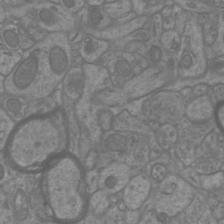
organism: Mouse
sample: Cortical neurons